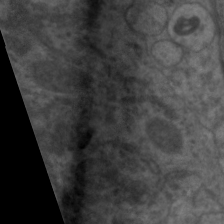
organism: C. elegans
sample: Pharynx